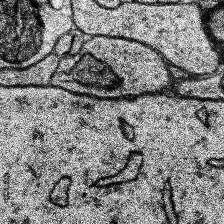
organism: Human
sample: Temporal Lobe